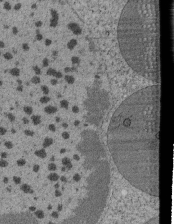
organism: Tetrahymena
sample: Cilia in tetrahymena